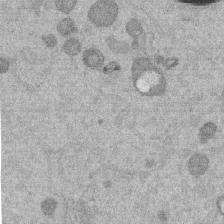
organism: Mouse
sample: Dividing mouse embryo 1 cell stage